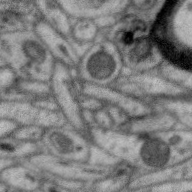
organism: Zebra finch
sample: Brain